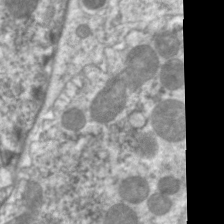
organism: C. elegans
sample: Pharynx